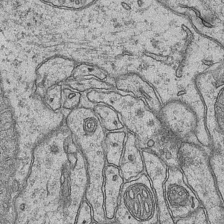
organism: Mouse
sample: CA1 Hippocampus